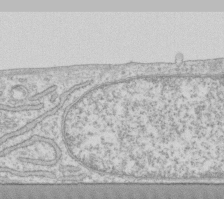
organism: Human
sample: Fibroblast cells